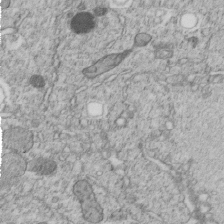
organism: C. elegans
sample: C. elegans embryo early stage